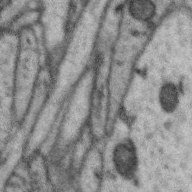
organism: Zebra finch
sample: Brain